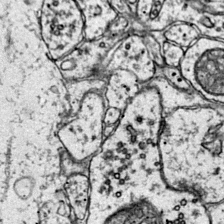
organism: Mouse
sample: Primary visual cortex